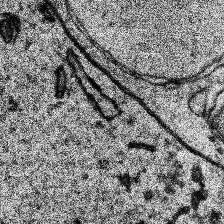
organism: Human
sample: Temporal Lobe